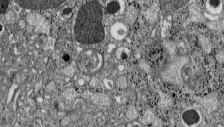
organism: C57BL Mouse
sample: Pancreatic islet